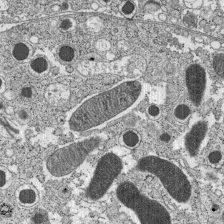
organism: C57BL Mouse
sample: Pancreatic islet